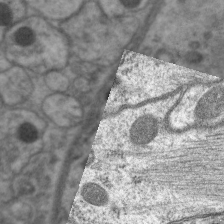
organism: C. elegans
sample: Pharynx